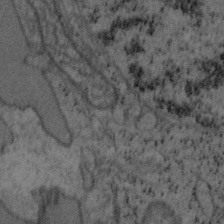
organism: Human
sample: HeLa cells